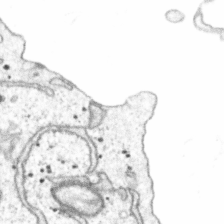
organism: Human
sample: HeLa cells